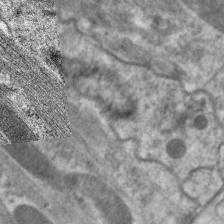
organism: C. elegans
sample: Pharynx